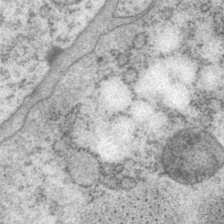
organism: P. pacificus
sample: Pharynx